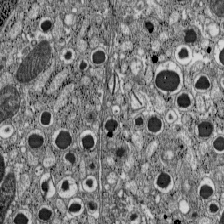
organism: C57BL Mouse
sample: Pancreatic islet